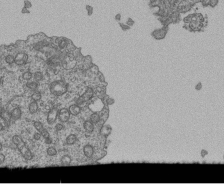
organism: Human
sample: Retinal organoid Rod and Cone cells